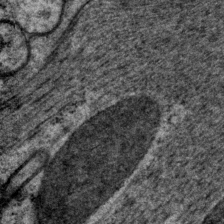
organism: P. pacificus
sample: Pharynx